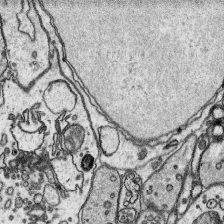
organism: Platynereis dumerilii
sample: Parapodia